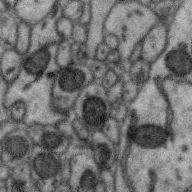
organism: Zebra finch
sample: Brain